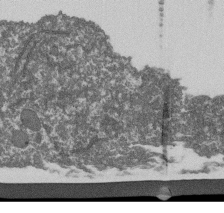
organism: Dictyostelium discoideum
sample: Dictyostelium multivesicular bodies